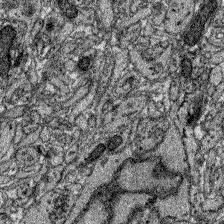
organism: Zebrafish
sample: Larval olfactory bulb